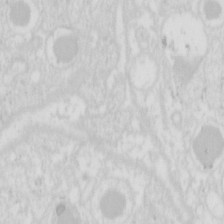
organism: Mouse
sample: Pancreas